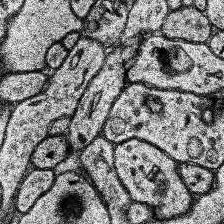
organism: Human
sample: Temporal Lobe